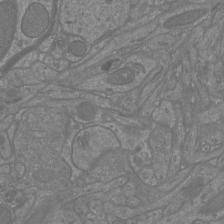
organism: Mouse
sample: Cortical neurons